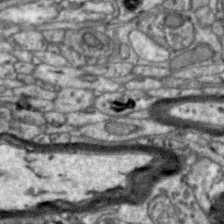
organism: Zebra finch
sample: Brain